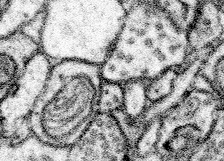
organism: Mouse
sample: Somatosensory cortex neuropil